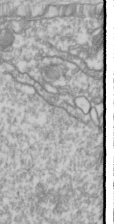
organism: Drosophila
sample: Cell division; meiosis; drosophila spermatocytes